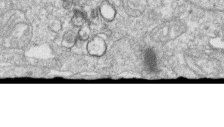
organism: Human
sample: HeLa cell HIV synapse